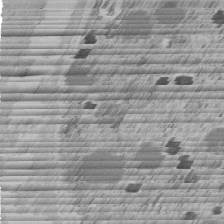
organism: C. elegans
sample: C. elegans embryo early stage